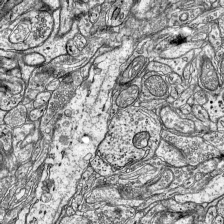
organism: Mouse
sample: Visual Cortex